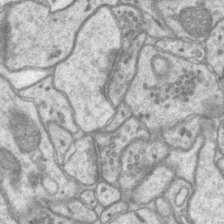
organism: Mouse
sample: CA1 Hippocampus